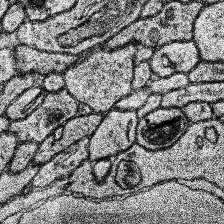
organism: Human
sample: Temporal Lobe